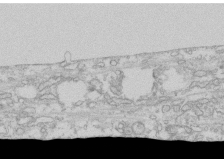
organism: Human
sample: CRL-1474